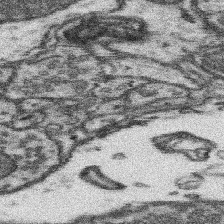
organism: Mouse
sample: Somatosensory cortex neuropil